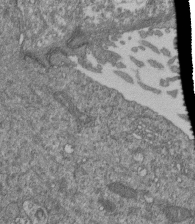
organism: Human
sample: Retinal organoid Rod and Cone cells